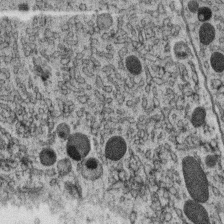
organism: C. elegans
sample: C. elegans oocyte; sperm cells